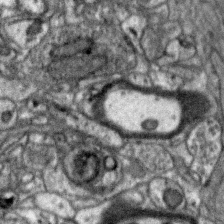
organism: Zebra finch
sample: Brain